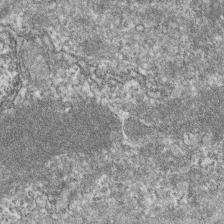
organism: Zebrafish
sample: Cilia; retinal pigment epithelium